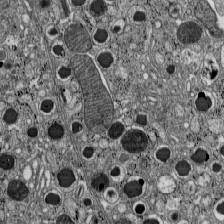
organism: C57BL Mouse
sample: Pancreatic islet